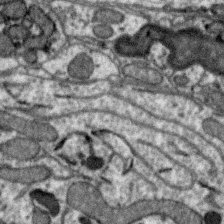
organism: Zebra finch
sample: Brain